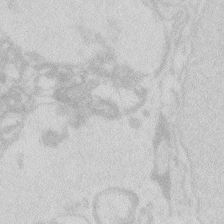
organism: Zebrafish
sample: Macrophage